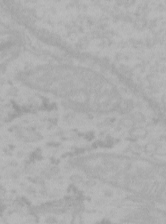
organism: Mouse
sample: Choroid plexus